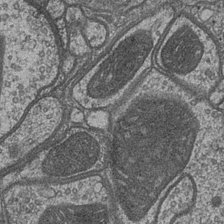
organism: Drosophila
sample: Optic medulla